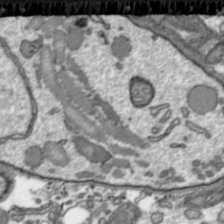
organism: Toxoplasma gondii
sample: Parasites in a vacuole inside a host cell